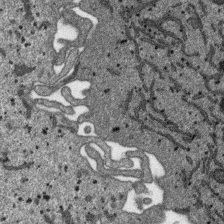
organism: Human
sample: Lung epithelial cells infected with SARS-CoV-2